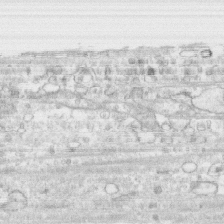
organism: Human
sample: CRL-1474